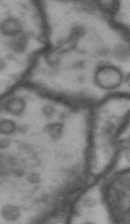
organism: Drosophila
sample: Brain